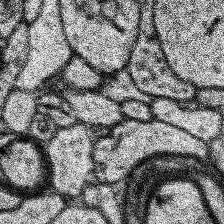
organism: Human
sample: Temporal Lobe